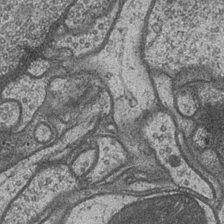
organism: Drosophila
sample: Optic medulla